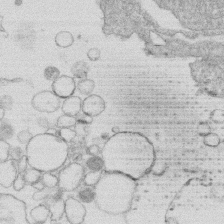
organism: Human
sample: Macrophage cells